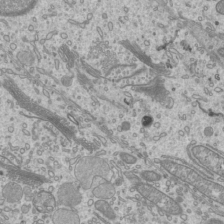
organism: Mouse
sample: Cilia; mouse epididymis